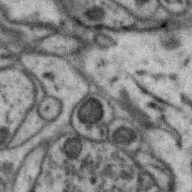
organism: Zebra finch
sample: Brain